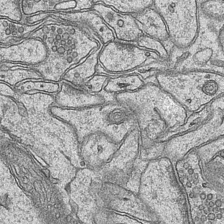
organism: Mouse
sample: CA1 Hippocampus